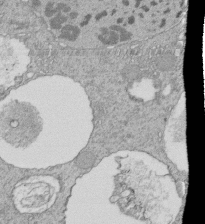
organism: Tetrahymena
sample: Cilia in tetrahymena